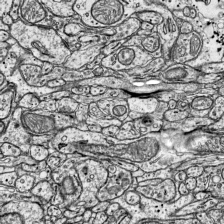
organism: Mouse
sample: Visual Cortex